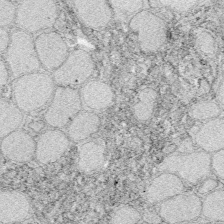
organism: Zebrafish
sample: Whole-Brain